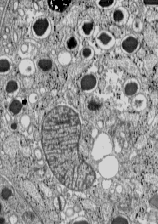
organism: C57BL Mouse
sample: Pancreatic islet